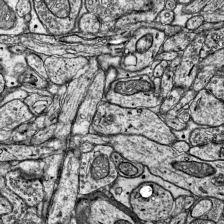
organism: Mouse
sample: Visual Cortex